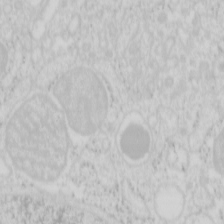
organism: Mouse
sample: Pancreas